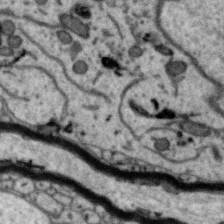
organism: Zebra finch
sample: Brain